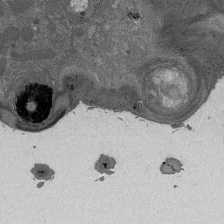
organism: Drosophila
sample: Antenna